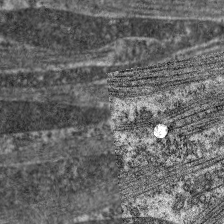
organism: C. elegans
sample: Pharynx